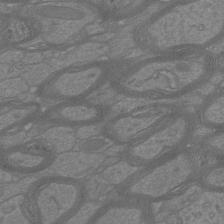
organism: Mouse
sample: Cortical neurons